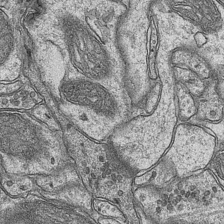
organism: Mouse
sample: CA1 Hippocampus